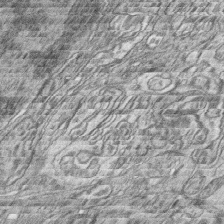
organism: Zebrafish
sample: synaptic ribbons in rod cells and cone cells